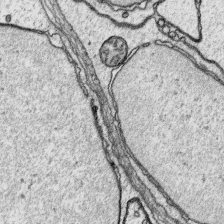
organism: Platynereis dumerilii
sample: Parapodia